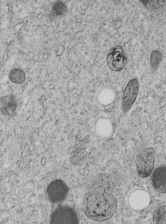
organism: C. elegans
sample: C. elegans embryo early stage